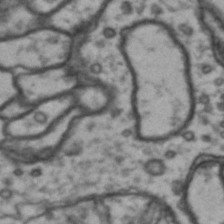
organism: Drosophila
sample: Brain